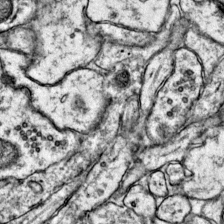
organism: Mouse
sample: Primary visual cortex